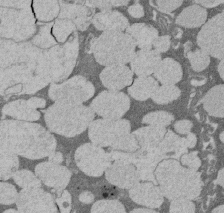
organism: Rat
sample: Salivary granule